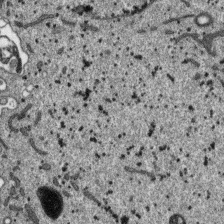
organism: Human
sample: Lung epithelial cells infected with SARS-CoV-2